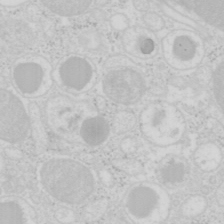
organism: Mouse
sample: Pancreas